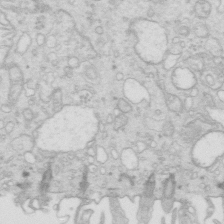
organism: Mouse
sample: Multiciliated cells